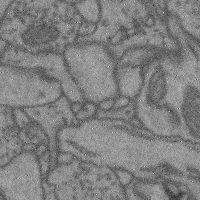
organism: Mouse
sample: Cerebral cortex